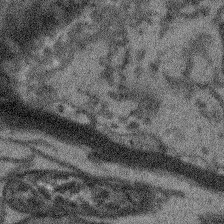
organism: Arabidopsis thaliana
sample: Root tip